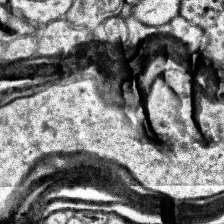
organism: Human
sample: Temporal Lobe